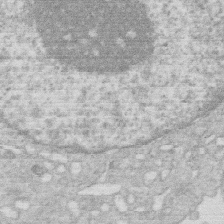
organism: Human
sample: Macrophage cells